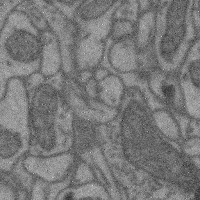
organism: Mouse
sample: Cerebral cortex